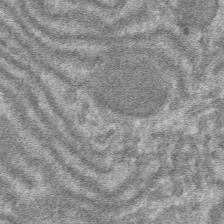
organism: Mouse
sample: Mouse hepatocytes